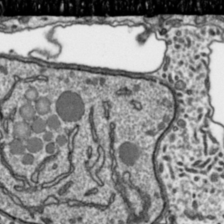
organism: Toxoplasma gondii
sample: Parasites in a vacuole inside a host cell